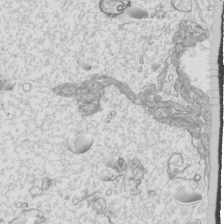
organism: Mouse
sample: Cilia; mouse epididymis